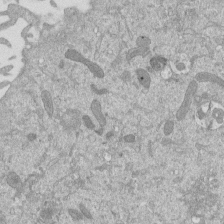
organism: Mouse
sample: ED-1 cell nuclei; centrioles